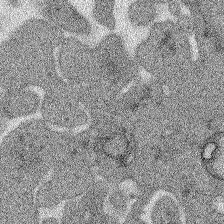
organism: Human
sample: HeLa cells